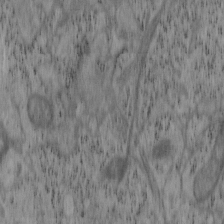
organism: Human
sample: HeLa cells